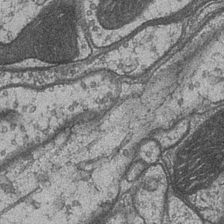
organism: Drosophila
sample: Optic medulla